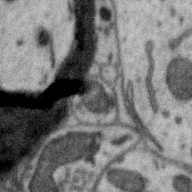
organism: Zebra finch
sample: Brain